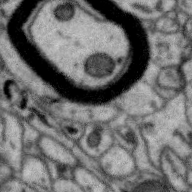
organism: Zebra finch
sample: Brain